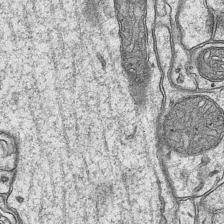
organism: Mouse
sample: CA1 Hippocampus